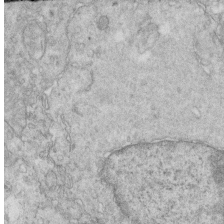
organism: Mouse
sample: Multiciliated cells